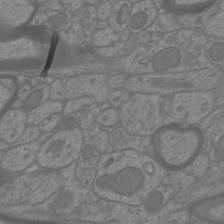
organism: Mouse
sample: Cortical neurons